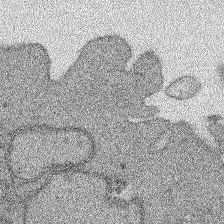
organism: Human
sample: HeLa cells